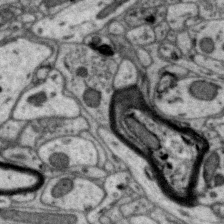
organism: Zebra finch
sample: Brain